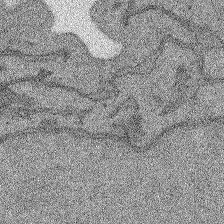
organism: Human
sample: HeLa cells